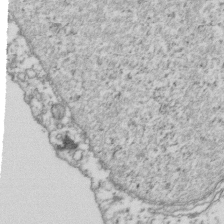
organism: Human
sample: Activated Jurkat CD4+ T cells